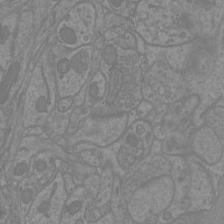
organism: Mouse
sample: Cortical neurons